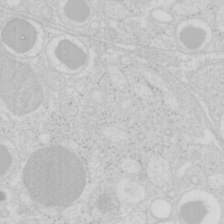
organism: Mouse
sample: Pancreas